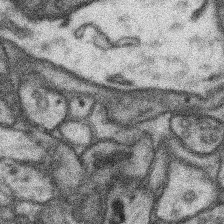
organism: Mouse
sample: Somatosensory cortex neuropil